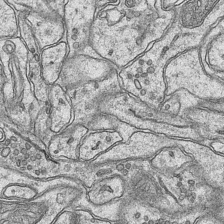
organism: Mouse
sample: CA1 Hippocampus